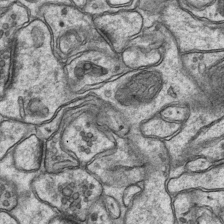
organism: Mouse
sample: CA1 Hippocampus